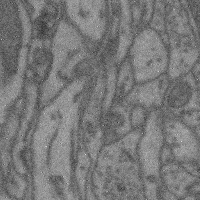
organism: Mouse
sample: Cerebral cortex